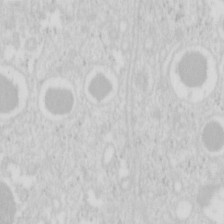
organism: Mouse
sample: Pancreas